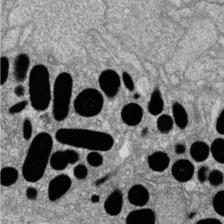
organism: Zebrafish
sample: Cilia; retinal pigment epithelium